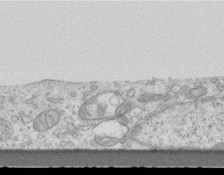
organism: Mouse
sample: Centriole in ependymal cells